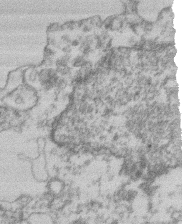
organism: Mouse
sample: T cell stromal cell synapse